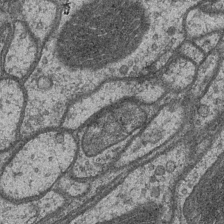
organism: Drosophila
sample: Optic medulla